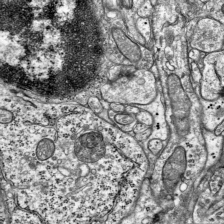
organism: Mouse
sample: Visual Cortex